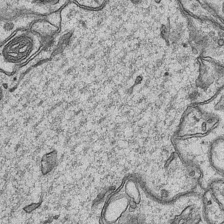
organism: Mouse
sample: CA1 Hippocampus